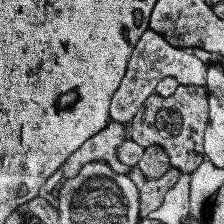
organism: Human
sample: Temporal Lobe